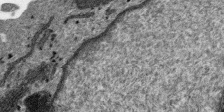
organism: Human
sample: Lung epithelial cells, uninfected (mock) control